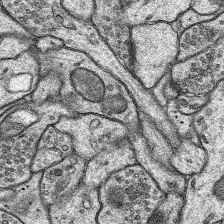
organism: Rat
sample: Hippocampus